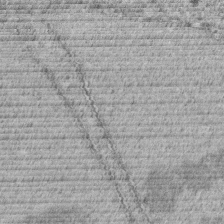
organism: C. elegans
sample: C. elegans embryo early stage